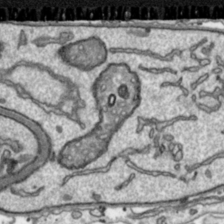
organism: Toxoplasma gondii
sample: Parasites in a vacuole inside a host cell